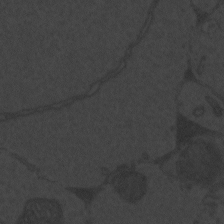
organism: Zebrafish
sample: Macrophage infected with Toxoplasma gondii